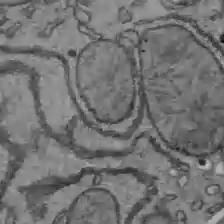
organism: C57BL Mouse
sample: Liver